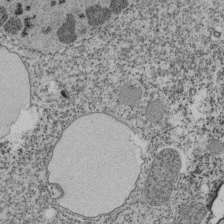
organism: Tetrahymena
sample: Cilia in tetrahymena